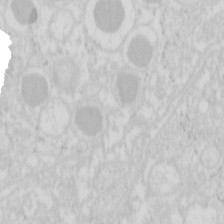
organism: Mouse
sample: Pancreas